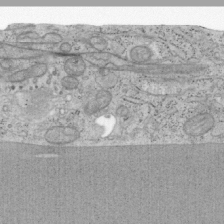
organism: Human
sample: HeLa cells